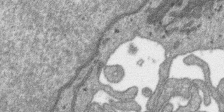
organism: Human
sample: Lung epithelial cells infected with SARS-CoV-2